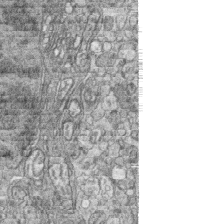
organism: Zebrafish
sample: synaptic ribbons in rod cells and cone cells